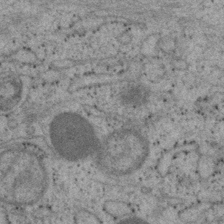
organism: Human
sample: HeLa cells